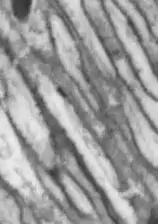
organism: Drosophila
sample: Optic lobe